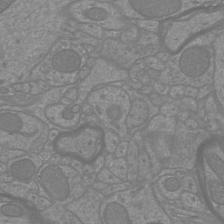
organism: Mouse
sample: Cortical neurons